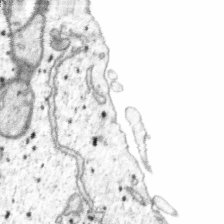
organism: Human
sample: HeLa cells